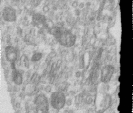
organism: Human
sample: Centriole in RPE cells